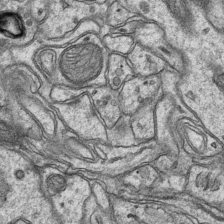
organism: Mouse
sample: CA1 Hippocampus